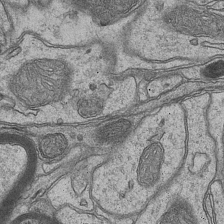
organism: Mouse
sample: CA1 Hippocampus